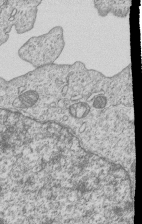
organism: Human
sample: MDA-MB-231 cells